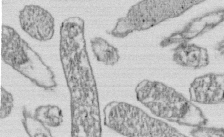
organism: E. coli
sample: Bacterial nucleoid